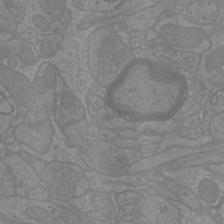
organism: Mouse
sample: Cortical neurons